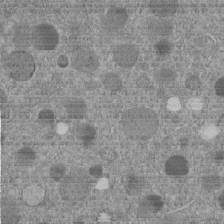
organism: C. elegans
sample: C. elegans embryo early stage